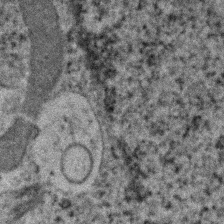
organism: Human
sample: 1205lu cells